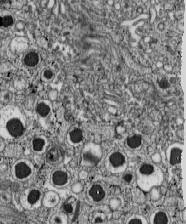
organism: C57BL Mouse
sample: Pancreatic islet